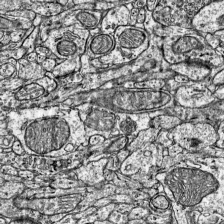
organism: Mouse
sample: Visual Cortex